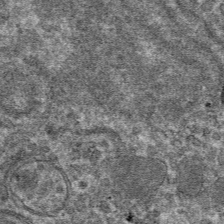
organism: Mouse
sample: Mouse hepatocytes